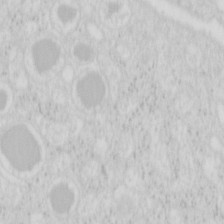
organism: Mouse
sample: Pancreas